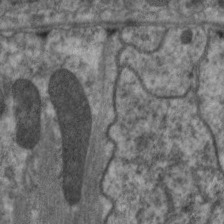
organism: C. elegans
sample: Pharynx